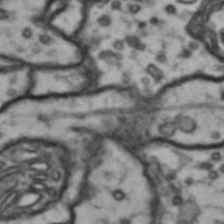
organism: Drosophila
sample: Brain